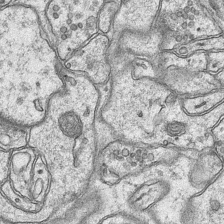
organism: Mouse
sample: CA1 Hippocampus